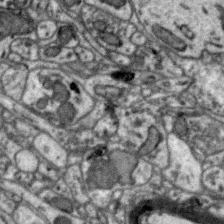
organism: Zebra finch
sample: Brain